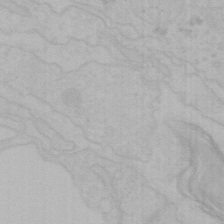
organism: Mouse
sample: Choroid plexus